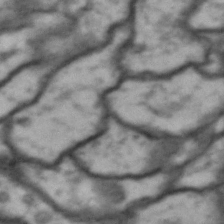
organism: Drosophila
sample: Brain